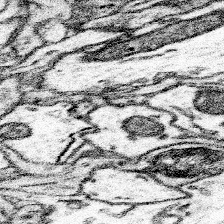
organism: Mouse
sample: Somatosensory cortex neuropil